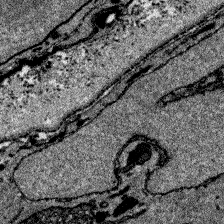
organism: Zebrafish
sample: Larval olfactory bulb